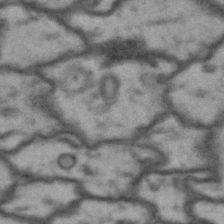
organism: Drosophila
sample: Brain